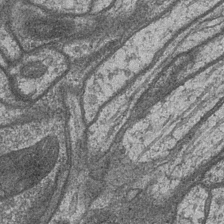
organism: Drosophila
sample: Optic medulla